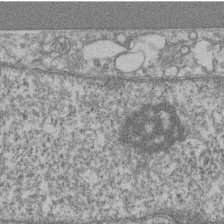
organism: Mouse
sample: T cell stromal cell synapse